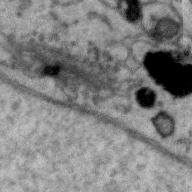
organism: Zebra finch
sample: Brain